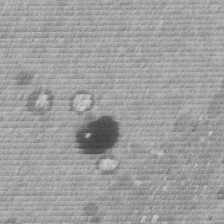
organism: Mouse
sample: Dividing mouse embryo 1 cell stage